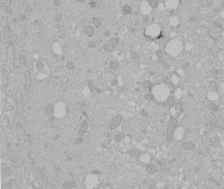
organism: Human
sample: Melanocyte Keratinocyte synapse skin construct